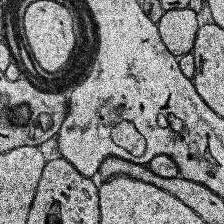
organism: Human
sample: Temporal Lobe